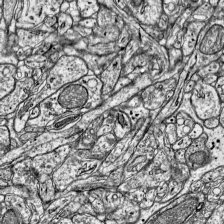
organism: Mouse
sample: Visual Cortex